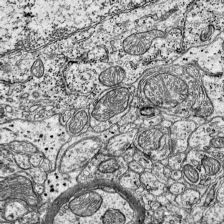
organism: Mouse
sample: Visual Cortex